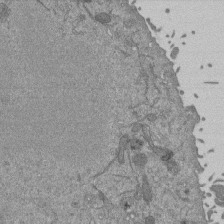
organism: Mouse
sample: ED-1 cell nuclei; centrioles